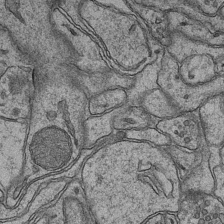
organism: Mouse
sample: CA1 Hippocampus